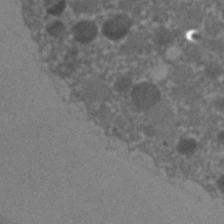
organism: C. elegans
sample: C. elegans embryo